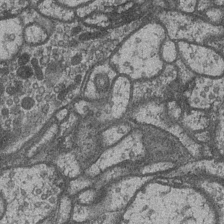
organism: Drosophila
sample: Optic medulla